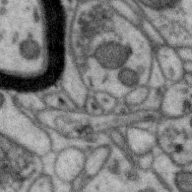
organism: Zebra finch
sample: Brain